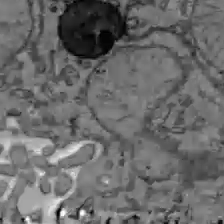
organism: C57BL Mouse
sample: Liver